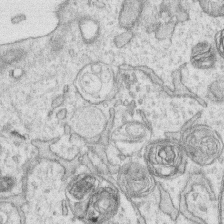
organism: Human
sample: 1205lu cells